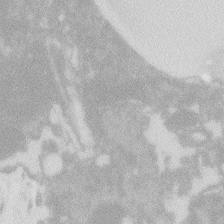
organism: Zebrafish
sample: Macrophage